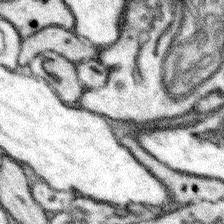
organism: Mouse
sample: Somatosensory cortex neuropil